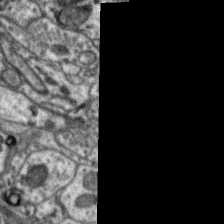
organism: Zebra finch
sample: Brain